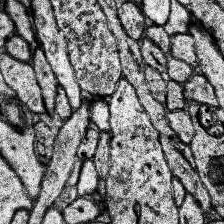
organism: Human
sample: Temporal Lobe